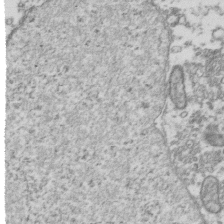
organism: Human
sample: Activated Jurkat CD4+ T cells